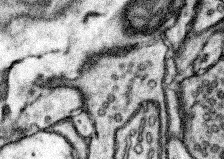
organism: Mouse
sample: Somatosensory cortex neuropil